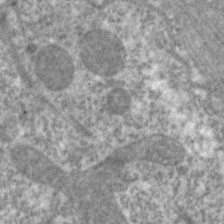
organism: C. elegans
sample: Pharynx